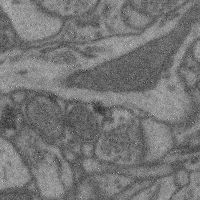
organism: Mouse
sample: Cerebral cortex